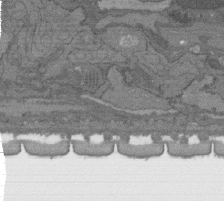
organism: C. elegans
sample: AFD neurons C. elegans